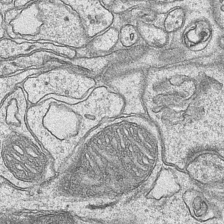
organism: Mouse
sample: CA1 Hippocampus